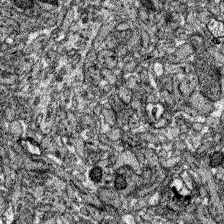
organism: Zebrafish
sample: Larval olfactory bulb